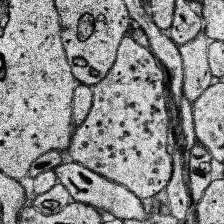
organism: Human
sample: Temporal Lobe